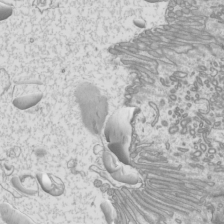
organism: Mouse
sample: Cilia; mouse epididymis